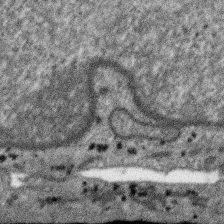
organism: Human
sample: Lung epithelial cells infected with SARS-CoV-2